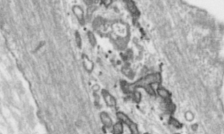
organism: Toxoplasma gondii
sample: Parasites in a vacuole inside a host cell